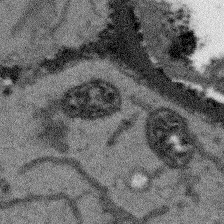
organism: Arabidopsis thaliana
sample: Root tip